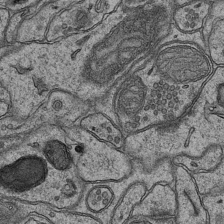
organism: Mouse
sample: CA1 Hippocampus